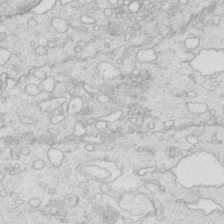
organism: Mouse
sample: Multiciliated cells